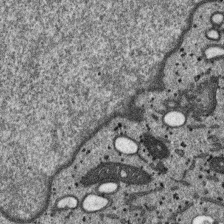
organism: Human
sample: Lung epithelial cells infected with SARS-CoV-2